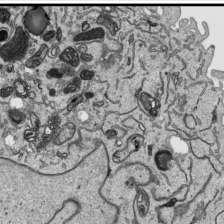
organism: Human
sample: Mitochondria in HCT116 cells